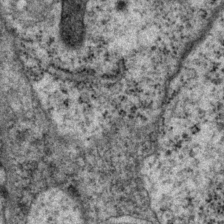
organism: P. pacificus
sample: Pharynx